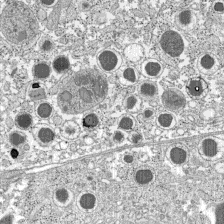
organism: C57BL Mouse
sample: Pancreatic islet